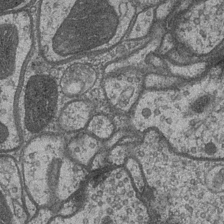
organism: Drosophila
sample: Optic medulla